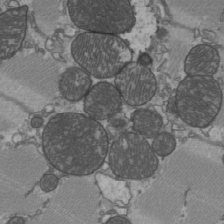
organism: C57BL Mouse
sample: Heart